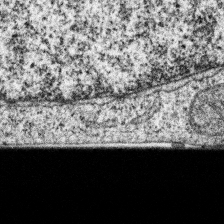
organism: Human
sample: HeLa cells